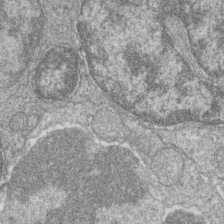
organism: Zebrafish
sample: Cilia; retinal pigment epithelium